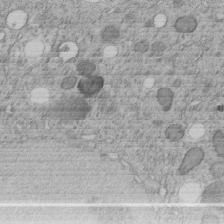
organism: C. elegans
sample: C. elegans embryo early stage